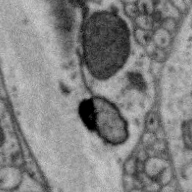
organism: Zebra finch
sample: Brain